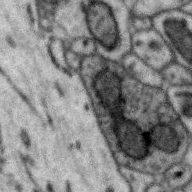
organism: Zebra finch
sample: Brain